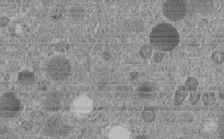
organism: C. elegans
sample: C. elegans embryo early stage